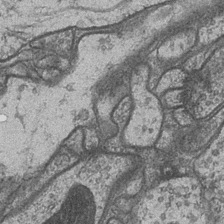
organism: Drosophila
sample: Optic medulla